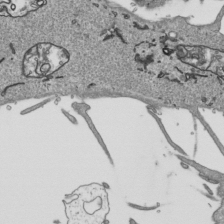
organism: Human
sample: Mitochondria in HCT116 cells